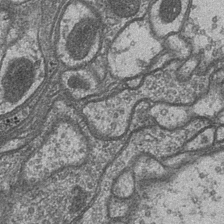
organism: Drosophila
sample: Optic medulla